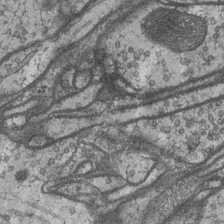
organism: Drosophila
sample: Optic medulla